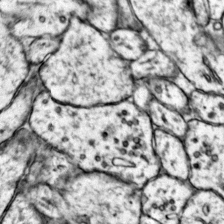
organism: Mouse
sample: Primary visual cortex